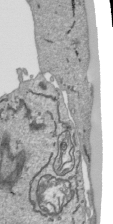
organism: Human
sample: Mitochondria in HCT116 cells